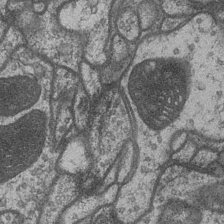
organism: Drosophila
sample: Optic medulla